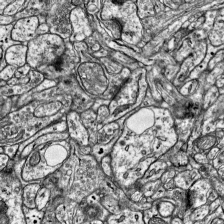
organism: Mouse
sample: Visual Cortex